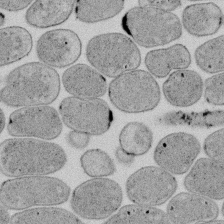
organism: E. coli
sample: Bacterial nucleoid